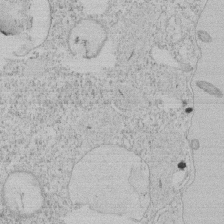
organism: Tetrahymena